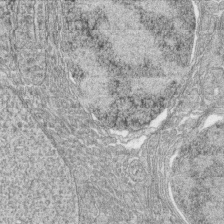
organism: Zebrafish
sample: synaptic ribbons in rod cells and cone cells